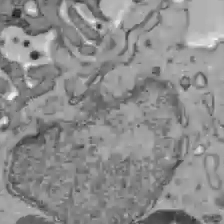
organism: C57BL Mouse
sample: Liver